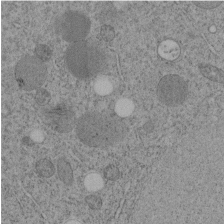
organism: C. elegans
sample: C. elegans embryo early stage